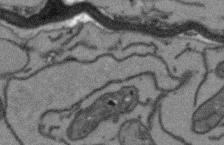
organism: Arabidopsis thaliana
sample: Root tip